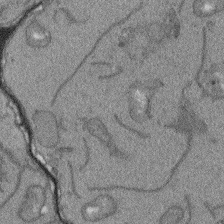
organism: Arabidopsis thaliana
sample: Root tip